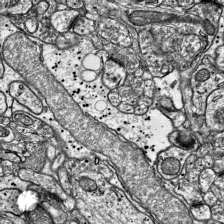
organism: Mouse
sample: Visual Cortex